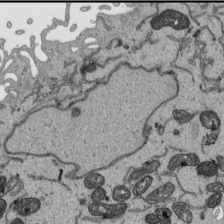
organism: Human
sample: Mitochondria in HCT116 cells